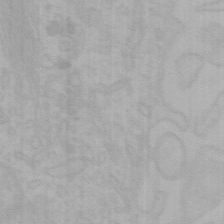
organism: Mouse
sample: Choroid plexus